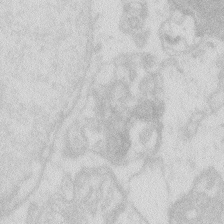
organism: Zebrafish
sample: Macrophage